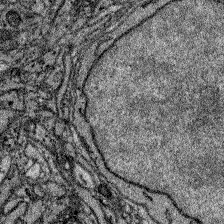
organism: Zebrafish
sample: Larval olfactory bulb